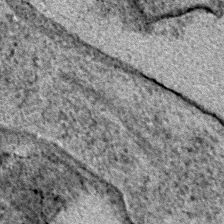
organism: E. coli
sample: E. Coli Bacteria